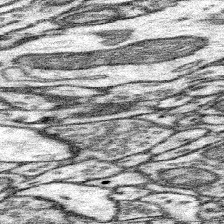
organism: Mouse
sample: Somatosensory cortex neuropil